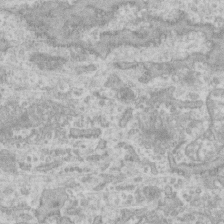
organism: Human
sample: CRL-1474